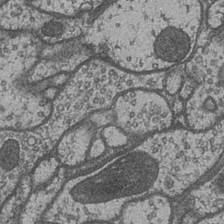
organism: Drosophila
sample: Optic medulla